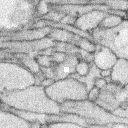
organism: Rabbit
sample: Retina